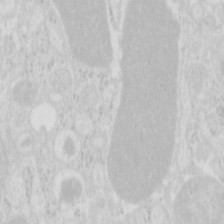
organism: Mouse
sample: Pancreas